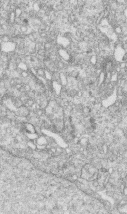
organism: Human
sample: HeLa cell HIV synapse